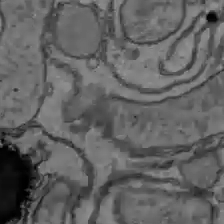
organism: C57BL Mouse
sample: Liver